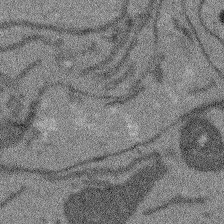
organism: Arabidopsis thaliana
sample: Root tip